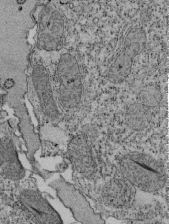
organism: Tetrahymena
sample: Cilia in tetrahymena